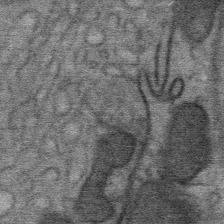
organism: Mouse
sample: Mouse Salivary gland